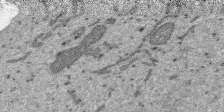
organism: Human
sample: Lung epithelial cells infected with SARS-CoV-2